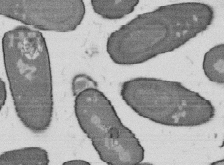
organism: B. subtilis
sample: Bacterial spore